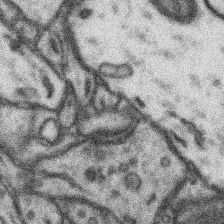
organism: Mouse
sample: Somatosensory cortex neuropil